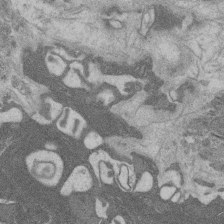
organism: Rat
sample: Salivary granule